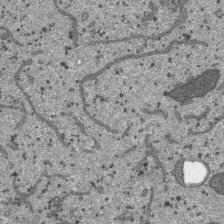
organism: Human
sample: Lung epithelial cells infected with SARS-CoV-2